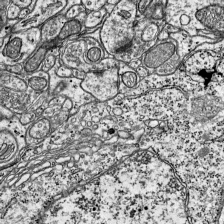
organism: Mouse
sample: Visual Cortex